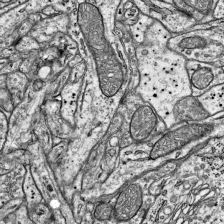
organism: Mouse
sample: Visual Cortex